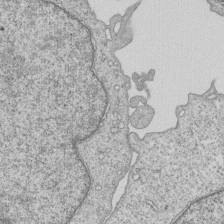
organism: Human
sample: MDA-MB-231 cells